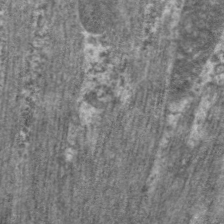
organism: C. elegans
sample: Pharynx